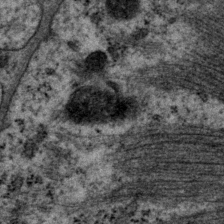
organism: P. pacificus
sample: Pharynx